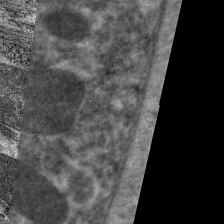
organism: C. elegans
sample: Pharynx